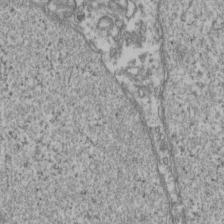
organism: Human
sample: Activated Jurkat CD4+ T cells